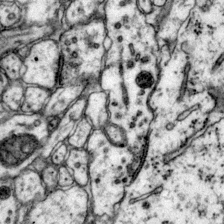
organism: Mouse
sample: Primary visual cortex